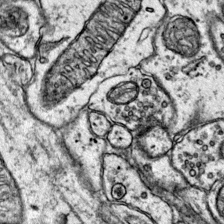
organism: Mouse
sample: Primary visual cortex